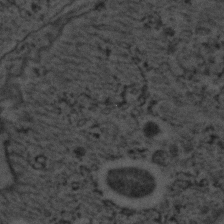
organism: C. elegans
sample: C. elegans embryo